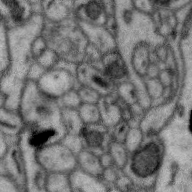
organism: Zebra finch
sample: Brain